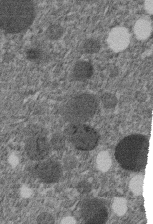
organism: C. elegans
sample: C. elegans embryo early stage